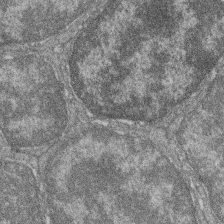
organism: Zebrafish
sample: Cilia; retinal pigment epithelium